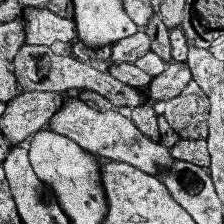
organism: Human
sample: Temporal Lobe